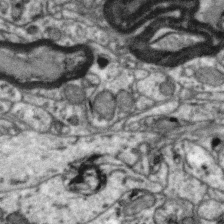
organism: Zebra finch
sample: Brain